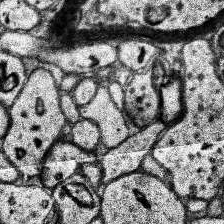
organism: Human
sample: Temporal Lobe